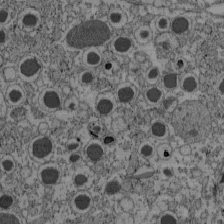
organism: C57BL Mouse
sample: Pancreatic islet